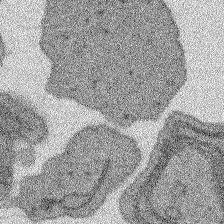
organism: Human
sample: HeLa cells